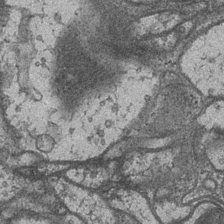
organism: Drosophila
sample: Optic medulla